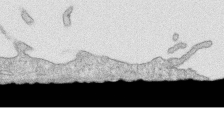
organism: Human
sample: HeLa cell HIV synapse